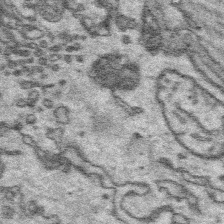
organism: Platynereis dumerilii